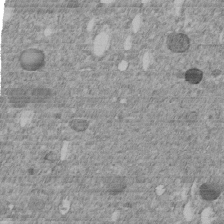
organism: C. elegans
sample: C. elegans embryo early stage